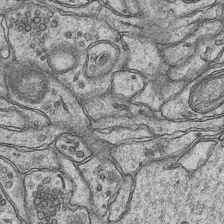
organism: Mouse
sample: CA1 Hippocampus